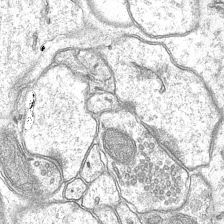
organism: Mouse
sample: CA1 Hippocampus